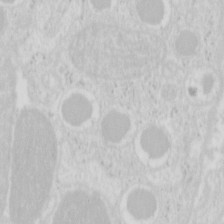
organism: Mouse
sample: Pancreas